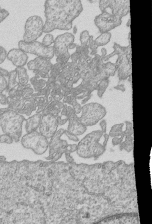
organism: Human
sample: MDA-MB-231 cells